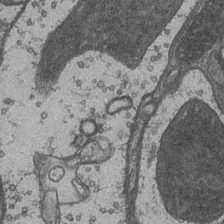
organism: Drosophila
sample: Optic medulla